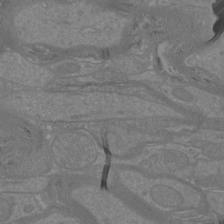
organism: Mouse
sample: Cortical neurons